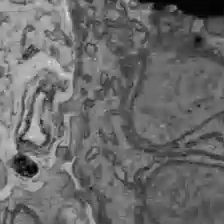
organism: C57BL Mouse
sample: Liver